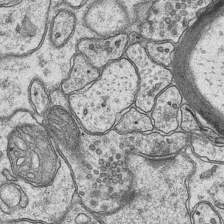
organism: Mouse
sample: CA1 Hippocampus